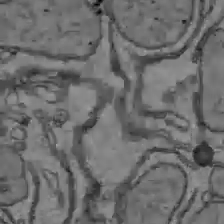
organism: C57BL Mouse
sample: Liver